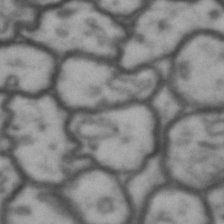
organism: Drosophila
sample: Brain